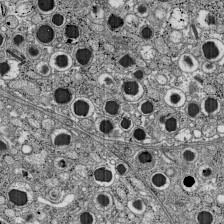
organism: C57BL Mouse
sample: Pancreatic islet